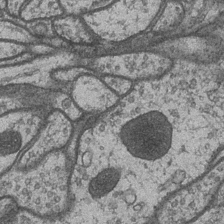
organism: Drosophila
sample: Optic medulla